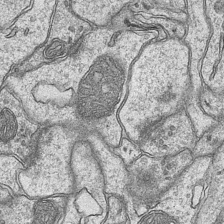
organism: Mouse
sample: CA1 Hippocampus